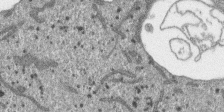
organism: Human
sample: Lung epithelial cells infected with SARS-CoV-2